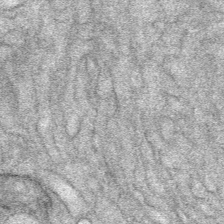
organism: Mouse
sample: Mouse Salivary gland